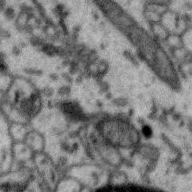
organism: Zebra finch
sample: Brain